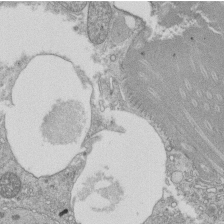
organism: Tetrahymena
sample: Cilia in tetrahymena